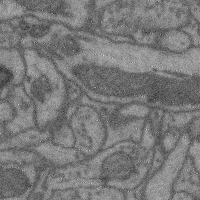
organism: Mouse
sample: Cerebral cortex